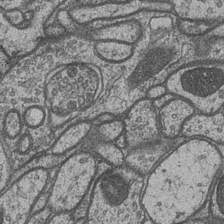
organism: Drosophila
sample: Optic medulla